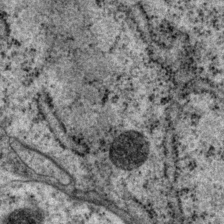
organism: P. pacificus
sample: Pharynx